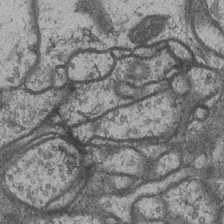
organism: Drosophila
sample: Optic medulla